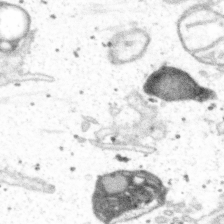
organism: Human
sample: HeLa cells